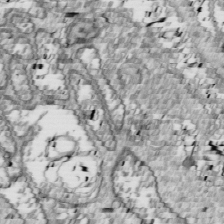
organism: Drosophila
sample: Cell division; meiosis; drosophila spermatocytes